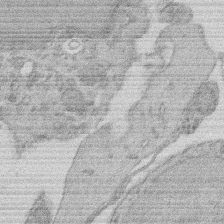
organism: Rat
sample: Salivary granule